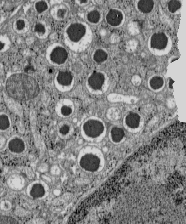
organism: C57BL Mouse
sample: Pancreatic islet